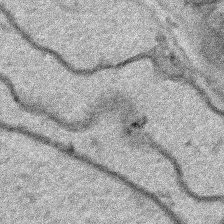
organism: Human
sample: Mitochondria in HCT116 cells